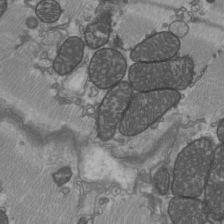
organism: C57BL Mouse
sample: Heart